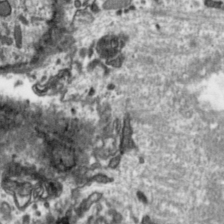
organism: Toxoplasma gondii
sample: Parasites in a vacuole inside a host cell